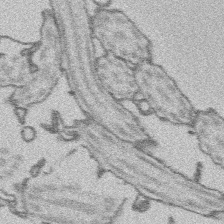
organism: Platynereis dumerilii